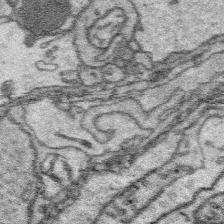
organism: Platynereis dumerilii